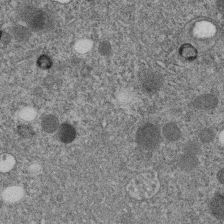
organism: C. elegans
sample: C. elegans embryo early stage